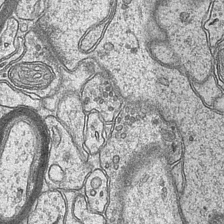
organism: Mouse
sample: CA1 Hippocampus